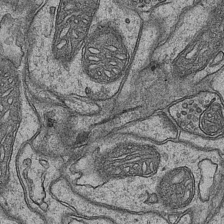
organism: Mouse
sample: CA1 Hippocampus